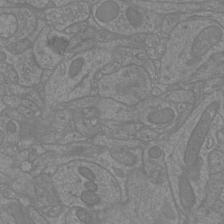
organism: Mouse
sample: Cortical neurons